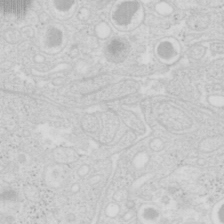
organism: Mouse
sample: Pancreas